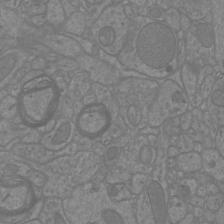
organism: Mouse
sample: Cortical neurons